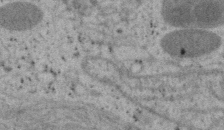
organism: Human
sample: HeLa cells